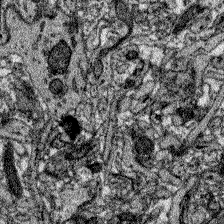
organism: Zebrafish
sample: Larval olfactory bulb